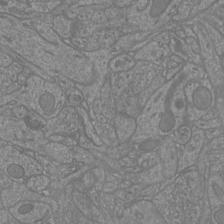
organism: Mouse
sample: Cortical neurons